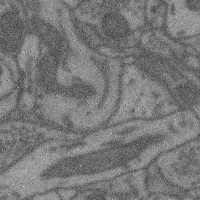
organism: Mouse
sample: Cerebral cortex